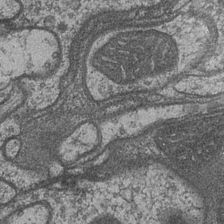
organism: Drosophila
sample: Optic medulla